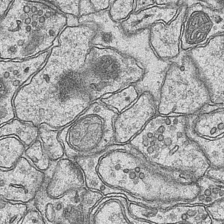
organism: Mouse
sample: CA1 Hippocampus